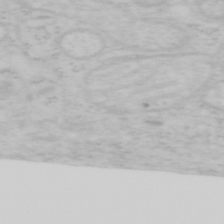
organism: Mouse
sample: OT-I killer T cells with ID8 ovarian cancer cells